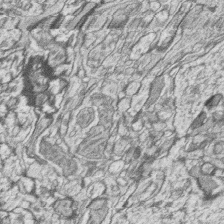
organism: Zebrafish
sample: synaptic ribbons in rod cells and cone cells